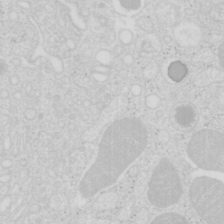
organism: Mouse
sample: Pancreas